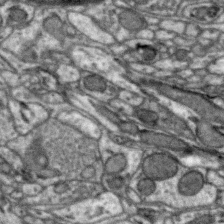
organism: Zebra finch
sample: Brain